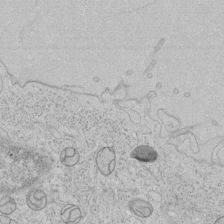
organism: Human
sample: Mitochondria in HCT116 cells